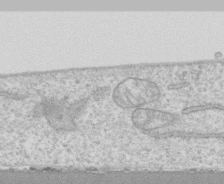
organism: Human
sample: CRL-1474